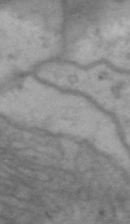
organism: Drosophila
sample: Brain